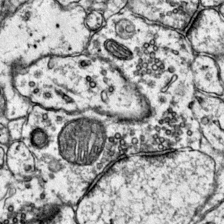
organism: Mouse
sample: Primary visual cortex